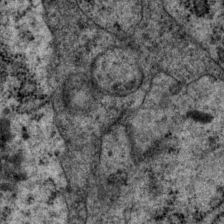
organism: P. pacificus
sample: Pharynx